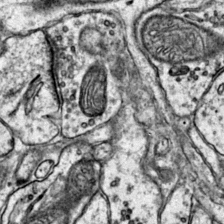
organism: Mouse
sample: Primary visual cortex